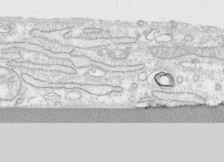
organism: Human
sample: CRL-1474